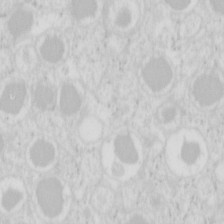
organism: Mouse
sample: Pancreas